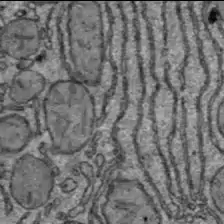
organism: C57BL Mouse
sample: Liver